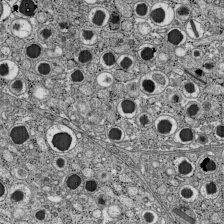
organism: C57BL Mouse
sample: Pancreatic islet